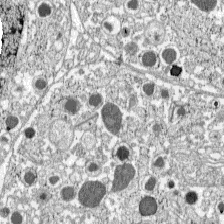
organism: C57BL Mouse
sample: Pancreatic islet